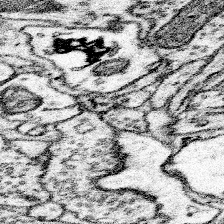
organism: Mouse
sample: Somatosensory cortex neuropil